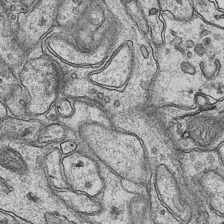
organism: Mouse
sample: CA1 Hippocampus